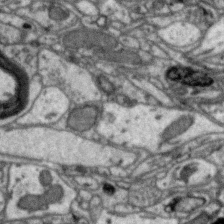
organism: Zebra finch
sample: Brain